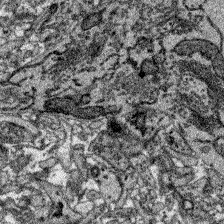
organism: Zebrafish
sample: Larval olfactory bulb